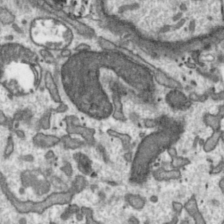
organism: Toxoplasma gondii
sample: Parasites in a vacuole inside a host cell